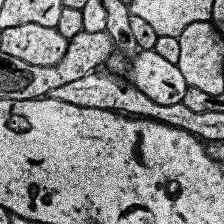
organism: Human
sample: Temporal Lobe